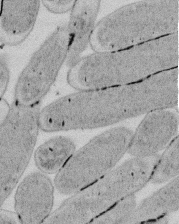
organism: E. coli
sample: Bacterial nucleoid